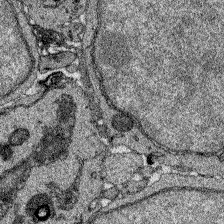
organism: Zebrafish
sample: Larval olfactory bulb